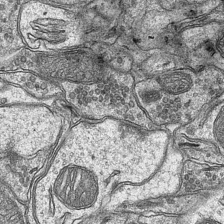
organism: Mouse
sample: CA1 Hippocampus